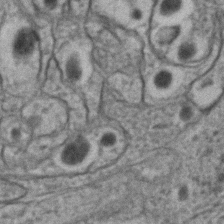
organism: C. elegans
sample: C. elegans embryo